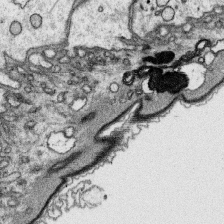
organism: Platynereis dumerilii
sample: Parapodia